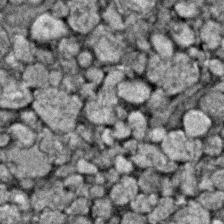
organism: Zebrafish